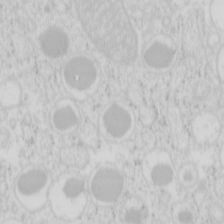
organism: Mouse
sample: Pancreas